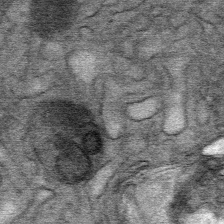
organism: Mouse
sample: Mouse Salivary gland